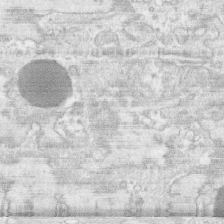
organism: Human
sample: CRL-1474